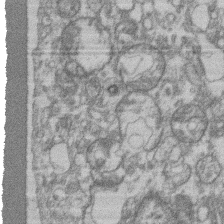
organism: Mouse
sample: T cell stromal cell synapse